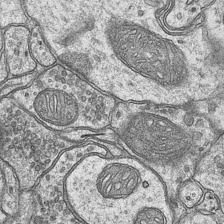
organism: Mouse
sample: CA1 Hippocampus